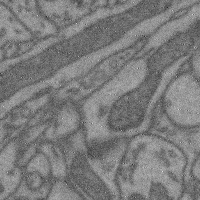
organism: Mouse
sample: Cerebral cortex